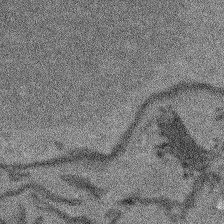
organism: Arabidopsis thaliana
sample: Root tip